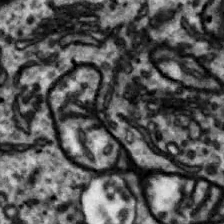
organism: Human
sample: HeLa cells